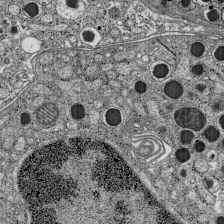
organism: C57BL Mouse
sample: Pancreatic islet